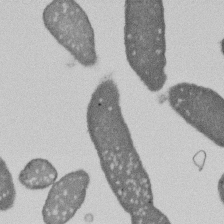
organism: E. coli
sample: Bacterial nucleoid